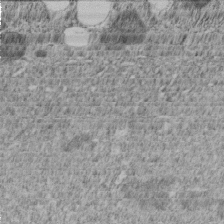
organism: C. elegans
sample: C. elegans embryo early stage